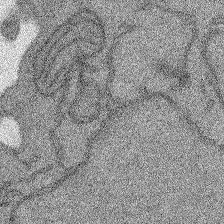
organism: Human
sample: HeLa cells